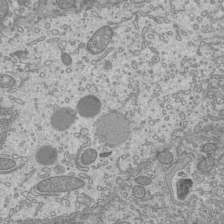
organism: Mouse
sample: Cilia; mouse epididymis